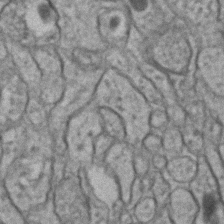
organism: C. elegans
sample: C. elegans embryo